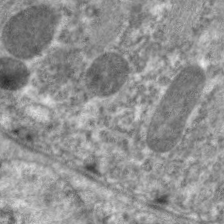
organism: C. elegans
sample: Pharynx